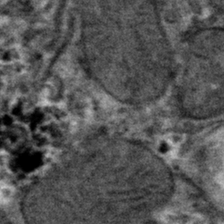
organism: Mouse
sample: Mouse hepatocytes